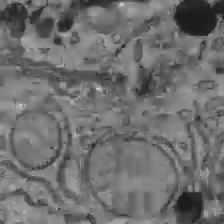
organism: C57BL Mouse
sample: Liver